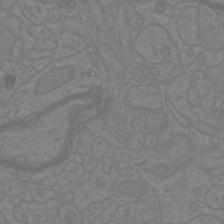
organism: Mouse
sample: Cortical neurons